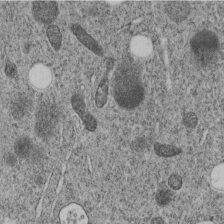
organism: C. elegans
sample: C. elegans embryo early stage